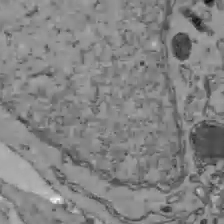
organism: C57BL Mouse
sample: Liver